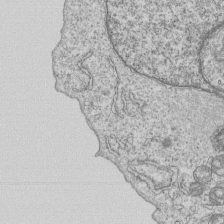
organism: Human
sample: MDA-MB-231 cells